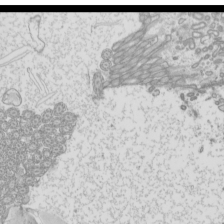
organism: Mouse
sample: Cilia; mouse epididymis